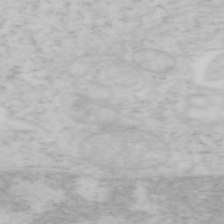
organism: Mouse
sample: OT-I killer T cells with ID8 ovarian cancer cells